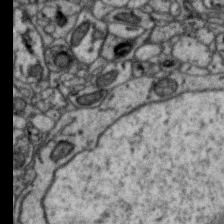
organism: Zebra finch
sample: Brain